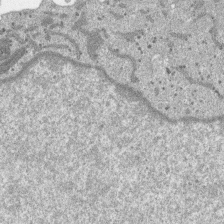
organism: Human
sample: Lung epithelial cells infected with SARS-CoV-2